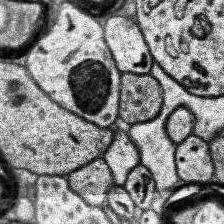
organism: Human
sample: Temporal Lobe